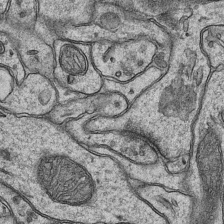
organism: Mouse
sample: CA1 Hippocampus